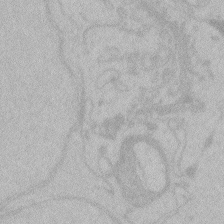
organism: Zebrafish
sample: Macrophage infected with Toxoplasma gondii